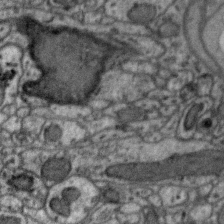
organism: Zebra finch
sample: Brain